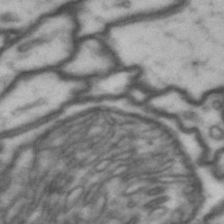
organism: Drosophila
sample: Brain